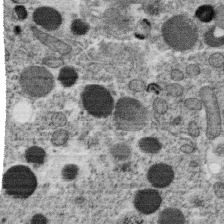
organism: C. elegans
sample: C. elegans oocyte; sperm cells